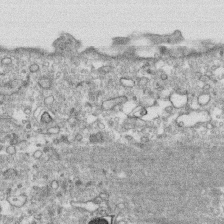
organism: Human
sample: CRL-1474